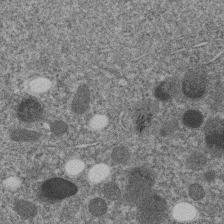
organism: C. elegans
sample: C. elegans embryo early stage